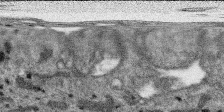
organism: Human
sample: Lung epithelial cells infected with SARS-CoV-2